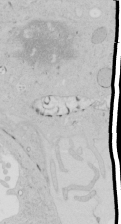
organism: Human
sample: Mitochondria in HCT116 cells